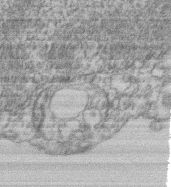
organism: Mouse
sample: T cell stromal cell synapse